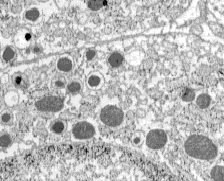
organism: C57BL Mouse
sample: Pancreatic islet